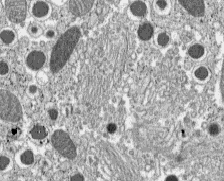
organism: C57BL Mouse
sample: Pancreatic islet